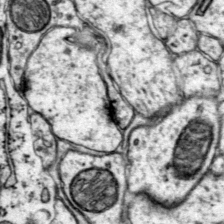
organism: Mouse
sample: Primary visual cortex